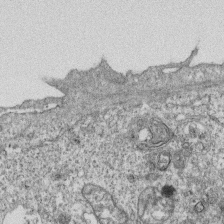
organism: Human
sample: HeLa cell HIV synapse